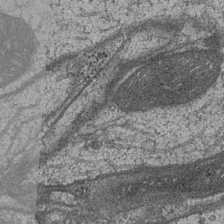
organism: Drosophila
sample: Optic medulla